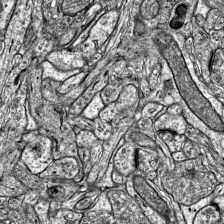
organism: Mouse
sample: Visual Cortex